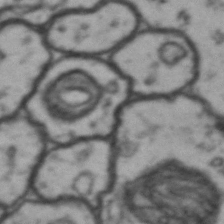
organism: Drosophila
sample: Brain